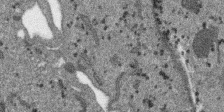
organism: Human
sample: Lung epithelial cells infected with SARS-CoV-2